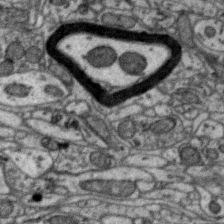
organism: Zebra finch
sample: Brain